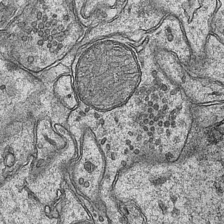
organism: Mouse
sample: CA1 Hippocampus